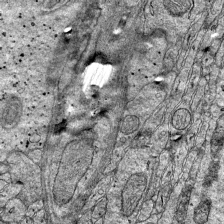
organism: Mouse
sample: Visual Cortex